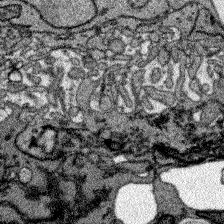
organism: Zebrafish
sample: Larval olfactory bulb